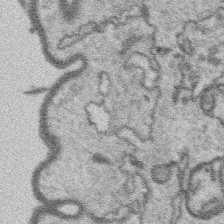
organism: Platynereis dumerilii